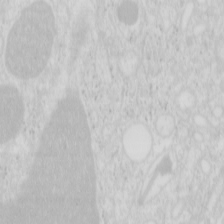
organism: Mouse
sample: Pancreas